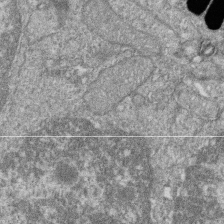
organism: Zebrafish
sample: Cilia; retinal pigment epithelium